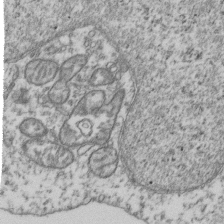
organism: Human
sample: Activated Jurkat CD4+ T cells